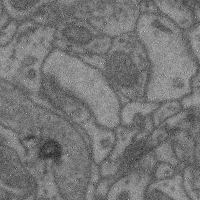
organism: Mouse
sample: Cerebral cortex